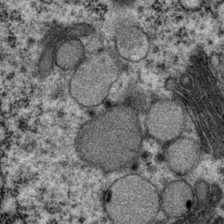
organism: P. pacificus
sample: Pharynx